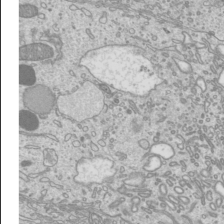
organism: Mouse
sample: Cilia; mouse epididymis